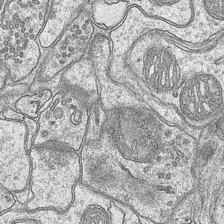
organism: Mouse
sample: CA1 Hippocampus